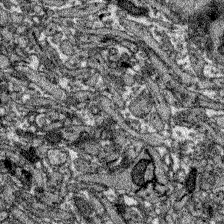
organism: Zebrafish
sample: Larval olfactory bulb